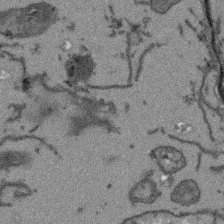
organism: Arabidopsis thaliana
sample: Root tip